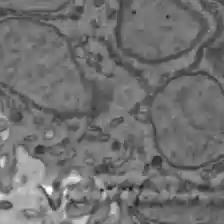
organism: C57BL Mouse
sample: Liver